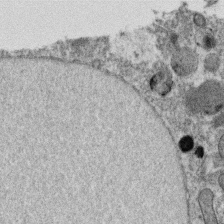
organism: C. elegans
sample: C. elegans oocyte; sperm cells